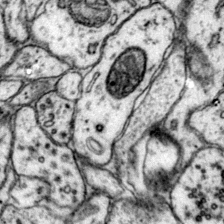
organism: Mouse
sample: Primary visual cortex